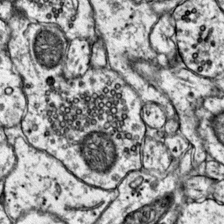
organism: Mouse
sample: Primary visual cortex